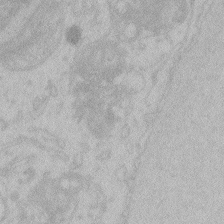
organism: Zebrafish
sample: Macrophage infected with Toxoplasma gondii